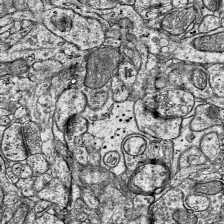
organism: Mouse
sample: Visual Cortex